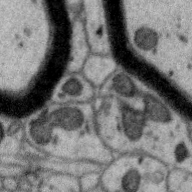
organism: Zebra finch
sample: Brain